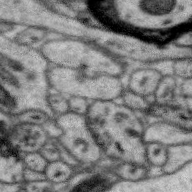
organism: Zebra finch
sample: Brain